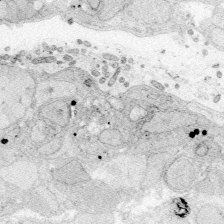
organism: Zebrafish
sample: Whole-Brain